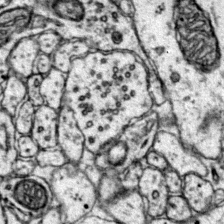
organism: Mouse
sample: Primary visual cortex